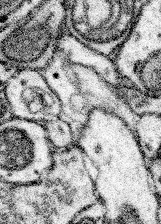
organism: Mouse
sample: Somatosensory cortex neuropil